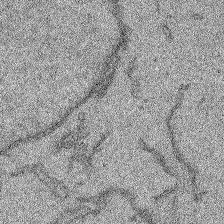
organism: Human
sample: HeLa cells